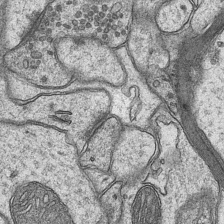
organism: Mouse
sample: CA1 Hippocampus